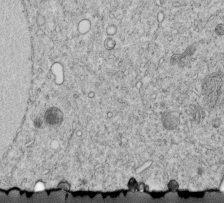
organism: C. elegans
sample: C. elegans embryo early stage